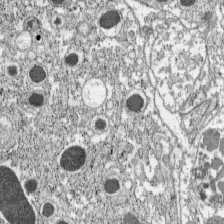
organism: C57BL Mouse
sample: Pancreatic islet